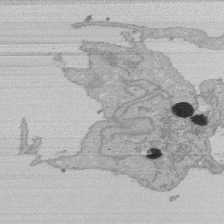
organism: Human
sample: Activated Jurkat CD4+ T cells